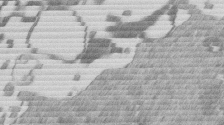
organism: Mouse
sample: Dividing mouse embryo 1 cell stage